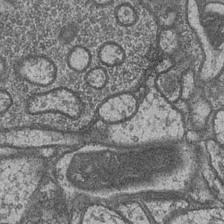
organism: Drosophila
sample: Optic medulla